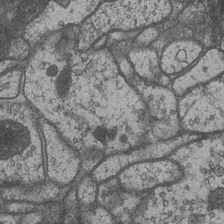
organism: Drosophila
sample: Optic medulla